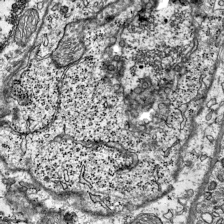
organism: Mouse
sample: Visual Cortex